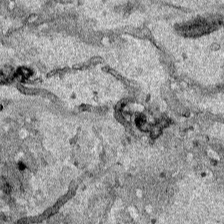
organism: Human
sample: Mitochondria in HCT116 cells